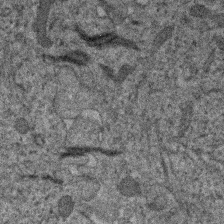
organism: Human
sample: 1205lu cells